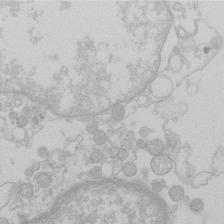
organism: Human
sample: Macrophage cells